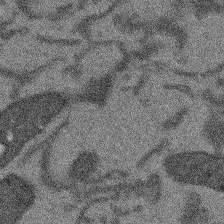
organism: Arabidopsis thaliana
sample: Root tip